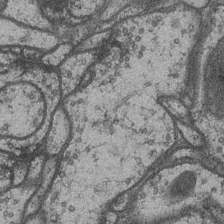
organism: Drosophila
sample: Optic medulla